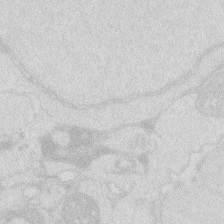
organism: Zebrafish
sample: Macrophage